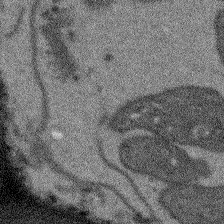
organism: Arabidopsis thaliana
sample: Root tip